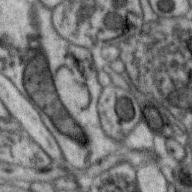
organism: Zebra finch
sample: Brain